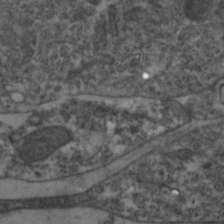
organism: Zebrafish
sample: Zebrafish embryo